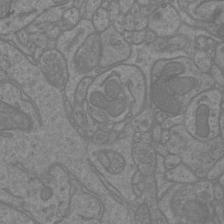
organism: Mouse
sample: Cortical neurons